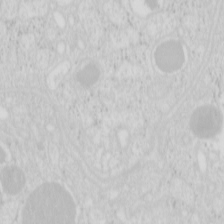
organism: Mouse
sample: Pancreas